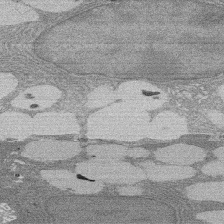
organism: Rat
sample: Salivary granule